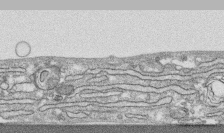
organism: Human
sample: CRL-1474